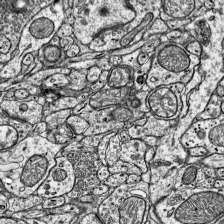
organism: Mouse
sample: Visual Cortex